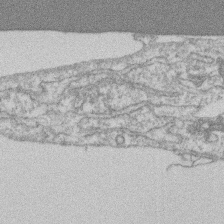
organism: Mouse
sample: T cell stromal cell synapse